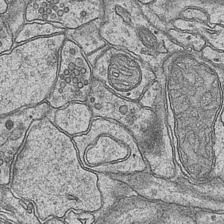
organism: Mouse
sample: CA1 Hippocampus